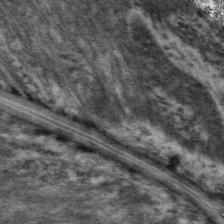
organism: C. elegans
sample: Pharynx